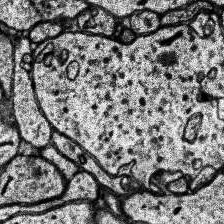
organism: Human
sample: Temporal Lobe